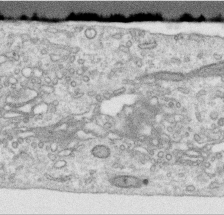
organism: Human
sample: Centriole in RPE cells